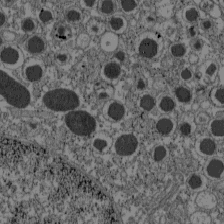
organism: C57BL Mouse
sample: Pancreatic islet